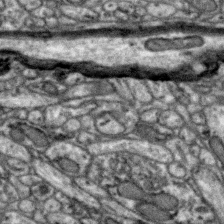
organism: Zebra finch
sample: Brain